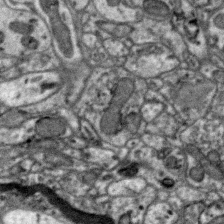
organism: Zebra finch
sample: Brain